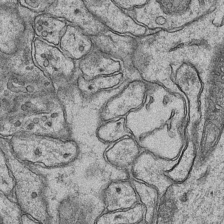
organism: Mouse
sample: CA1 Hippocampus